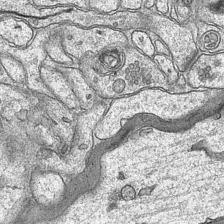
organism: Mouse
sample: CA1 Hippocampus